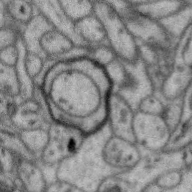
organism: Zebra finch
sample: Brain